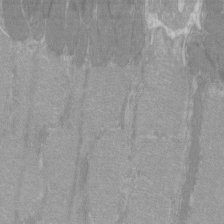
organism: C57BL Mouse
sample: Tibialis anterior muscle cell